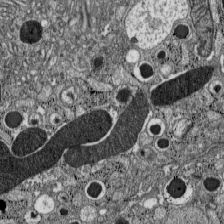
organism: C57BL Mouse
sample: Pancreatic islet